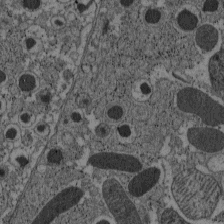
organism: C57BL Mouse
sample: Pancreatic islet